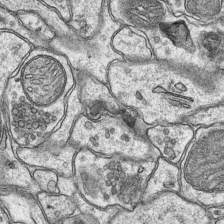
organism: Mouse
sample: CA1 Hippocampus